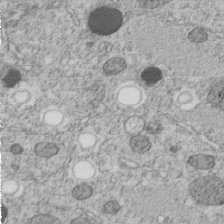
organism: C. elegans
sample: C. elegans embryo early stage